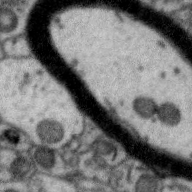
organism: Zebra finch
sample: Brain